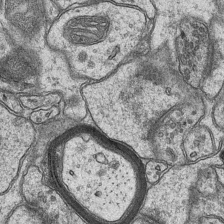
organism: Mouse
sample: CA1 Hippocampus